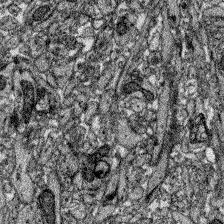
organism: Zebrafish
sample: Larval olfactory bulb